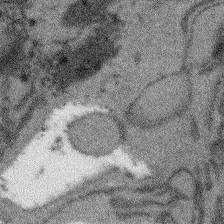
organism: Arabidopsis thaliana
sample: Root tip